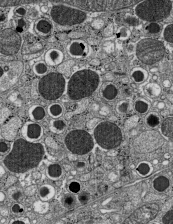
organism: C57BL Mouse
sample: Pancreatic islet